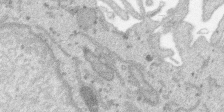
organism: Human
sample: Lung epithelial cells infected with SARS-CoV-2